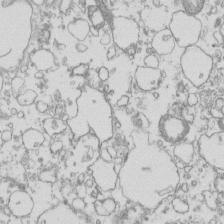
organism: Mouse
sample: Macrophages